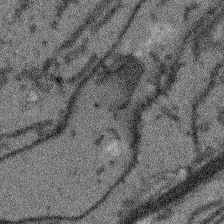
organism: Arabidopsis thaliana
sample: Root tip